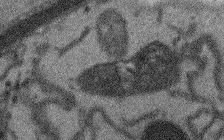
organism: Arabidopsis thaliana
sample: Root tip